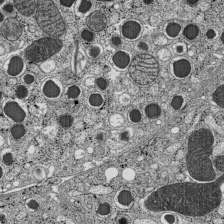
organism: C57BL Mouse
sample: Pancreatic islet